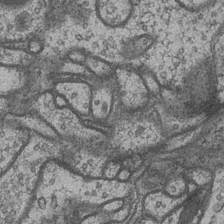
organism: Drosophila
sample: Optic medulla